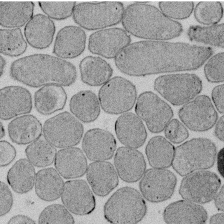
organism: E. coli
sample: Bacterial nucleoid